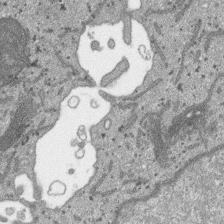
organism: Human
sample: Lung epithelial cells infected with SARS-CoV-2